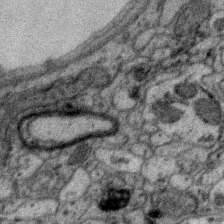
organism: Zebra finch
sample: Brain